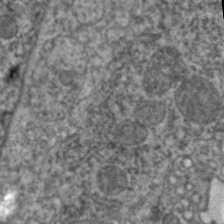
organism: C. elegans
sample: Pharynx